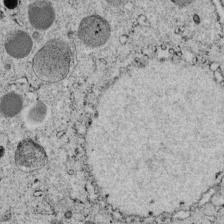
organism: C. elegans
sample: C. elegans embryo early stage